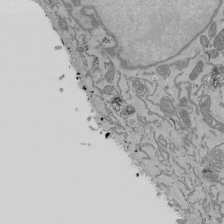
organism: Mouse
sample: ED-1 cell nuclei; centrioles